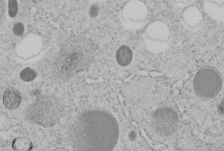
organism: C. elegans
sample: C. elegans embryo early stage